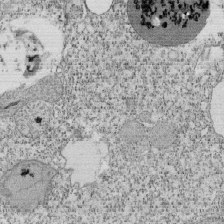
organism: Tetrahymena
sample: Cilia in tetrahymena